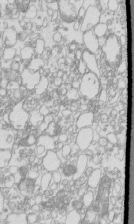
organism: Mouse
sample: Macrophages